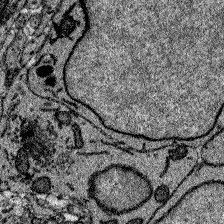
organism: Zebrafish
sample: Larval olfactory bulb